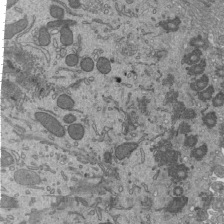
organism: Mouse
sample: Mouse epididymis efferent ductule cilia